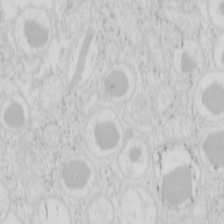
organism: Mouse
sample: Pancreas